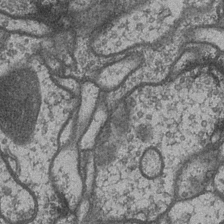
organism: Drosophila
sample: Optic medulla